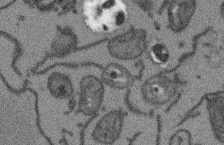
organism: Arabidopsis thaliana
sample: Root tip